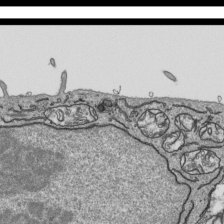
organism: Human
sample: Mitochondria in HCT116 cells